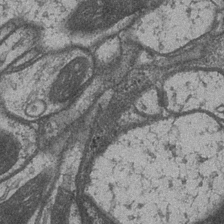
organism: Drosophila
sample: Optic medulla